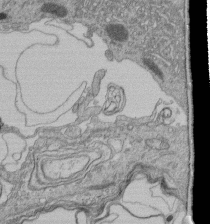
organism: Human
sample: Retinal organoid Rod and Cone cells